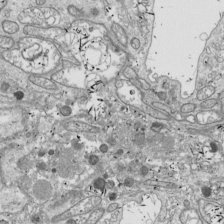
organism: Drosophila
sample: Cell division; meiosis; drosophila spermatocytes